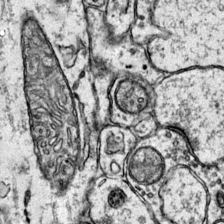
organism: Mouse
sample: Primary visual cortex